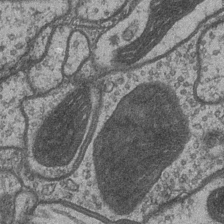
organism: Drosophila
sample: Optic medulla